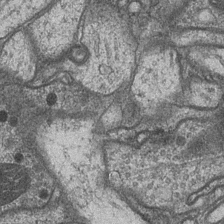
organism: Drosophila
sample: Optic medulla